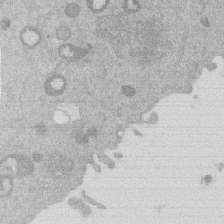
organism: Mouse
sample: Dividing mouse embryo 1 cell stage